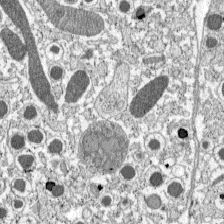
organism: C57BL Mouse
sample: Pancreatic islet